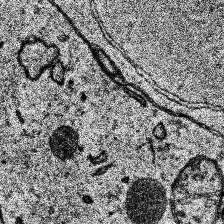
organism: Human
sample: Temporal Lobe